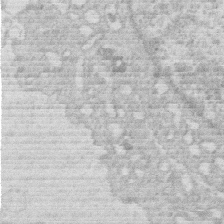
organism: Human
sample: Macrophage cells